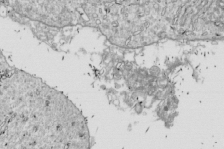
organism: Drosophila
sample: Cell division; meiosis; drosophila spermatocytes